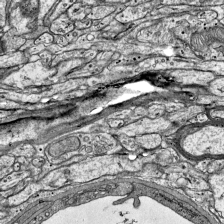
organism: Mouse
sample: Visual Cortex